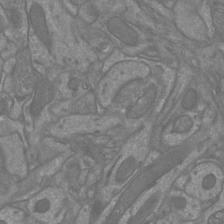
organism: Mouse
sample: Cortical neurons